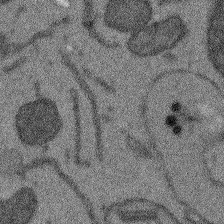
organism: Arabidopsis thaliana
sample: Root tip